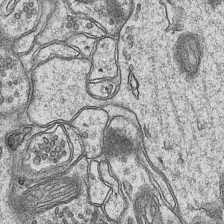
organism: Mouse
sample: CA1 Hippocampus